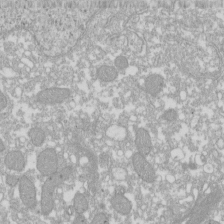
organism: Xenopus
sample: Cilia; centrioles in frog embryo cells